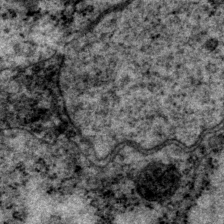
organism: P. pacificus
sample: Pharynx